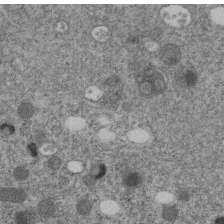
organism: C. elegans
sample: C. elegans embryo early stage